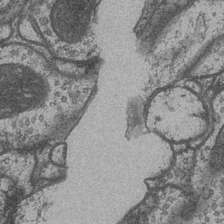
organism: Drosophila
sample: Optic medulla